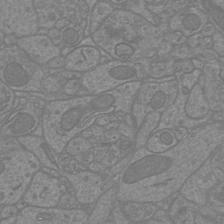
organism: Mouse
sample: Cortical neurons